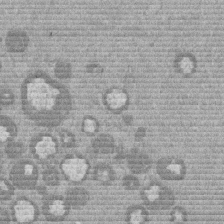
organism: Mouse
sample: Dividing mouse embryo 1 cell stage